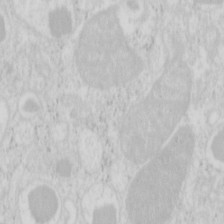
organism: Mouse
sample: Pancreas